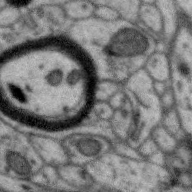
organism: Zebra finch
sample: Brain